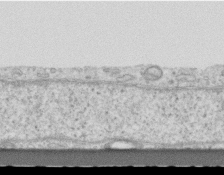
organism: Mouse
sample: Centriole in ependymal cells